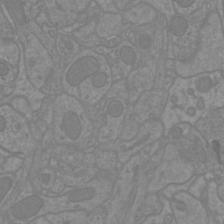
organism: Mouse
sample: Cortical neurons